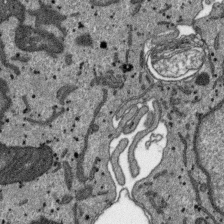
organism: Human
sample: Lung epithelial cells, uninfected (mock) control